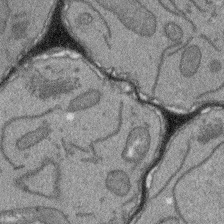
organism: Arabidopsis thaliana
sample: Root tip